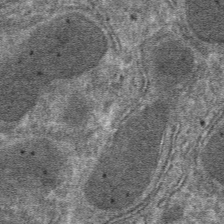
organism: Mouse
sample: Mouse hepatocytes